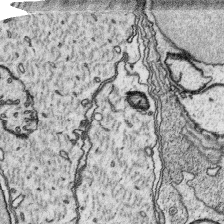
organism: Platynereis dumerilii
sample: Parapodia